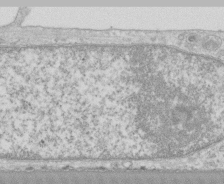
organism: Human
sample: CRL-1474